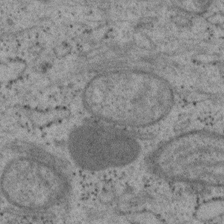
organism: Human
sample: HeLa cells